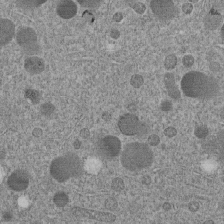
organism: C. elegans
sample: C. elegans embryo early stage